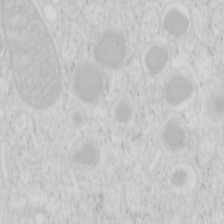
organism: Mouse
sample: Pancreas